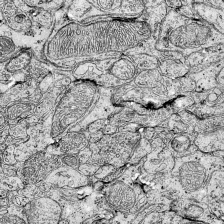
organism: Mouse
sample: Visual Cortex